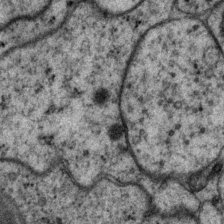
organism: P. pacificus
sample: Pharynx